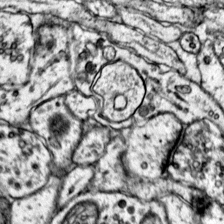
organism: Mouse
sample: Primary visual cortex